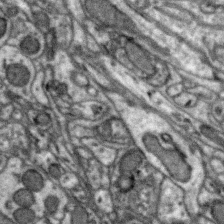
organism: Zebra finch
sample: Brain